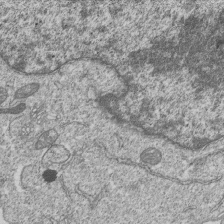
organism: Human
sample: MDA-MB-231 cells